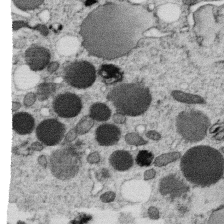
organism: C. elegans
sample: C. elegans oocyte; sperm cells